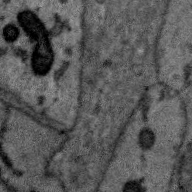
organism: Zebra finch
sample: Brain